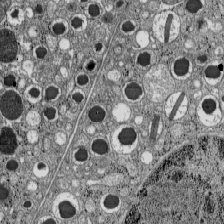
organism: C57BL Mouse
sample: Pancreatic islet